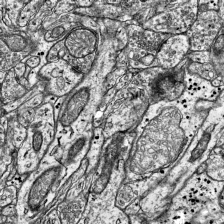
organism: Mouse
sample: Visual Cortex